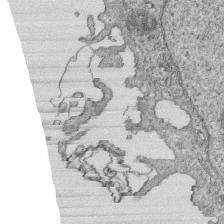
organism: Human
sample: HeLa cell HIV synapse